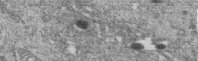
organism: Human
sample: Centriole in RPE cells